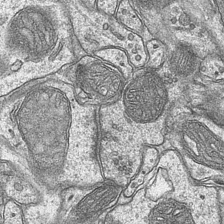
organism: Mouse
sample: CA1 Hippocampus